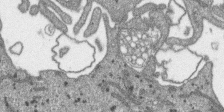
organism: Human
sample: Lung epithelial cells infected with SARS-CoV-2